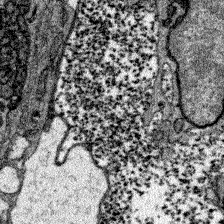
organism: Zebrafish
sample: Larval olfactory bulb